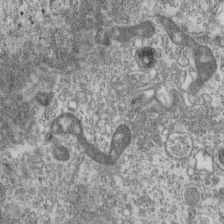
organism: Mouse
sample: Centriole in ependymal cells